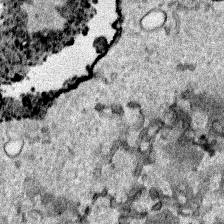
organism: Human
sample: Mitochondria in HCT116 cells